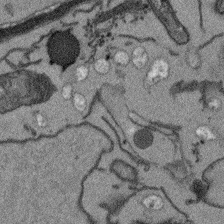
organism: Arabidopsis thaliana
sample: Root tip